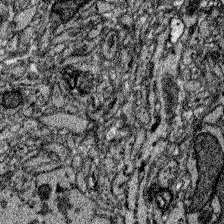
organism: Zebrafish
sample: Larval olfactory bulb